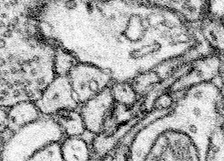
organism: Mouse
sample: Somatosensory cortex neuropil